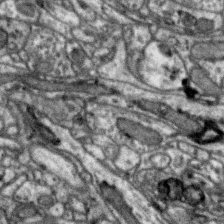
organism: Zebra finch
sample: Brain